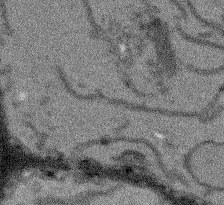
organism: Arabidopsis thaliana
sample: Root tip